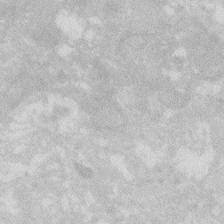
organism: Zebrafish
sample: Macrophage